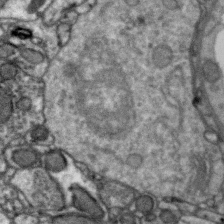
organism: Zebra finch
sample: Brain